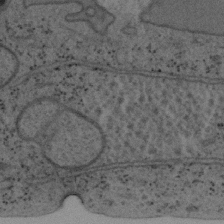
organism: Human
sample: HeLa cells